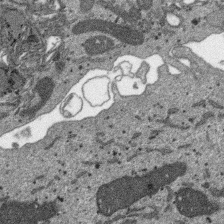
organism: Human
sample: Lung epithelial cells infected with SARS-CoV-2